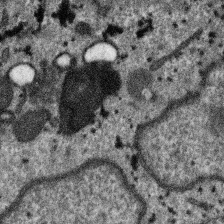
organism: Human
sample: Lung epithelial cells infected with SARS-CoV-2